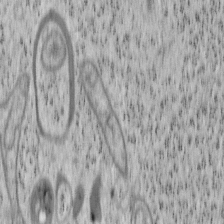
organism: Human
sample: HeLa cells